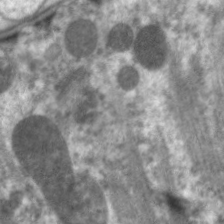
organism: C. elegans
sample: Pharynx